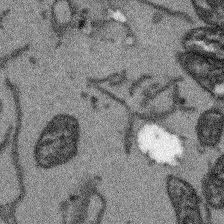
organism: Arabidopsis thaliana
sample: Root tip